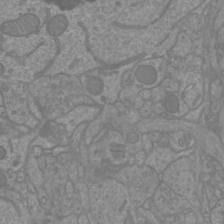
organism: Mouse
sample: Cortical neurons